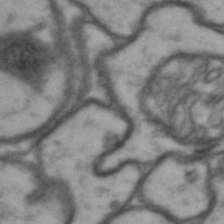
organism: Drosophila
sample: Brain